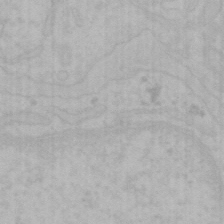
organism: Mouse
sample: Choroid plexus